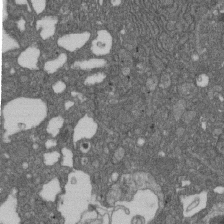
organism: Drosophila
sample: Nephrocyte